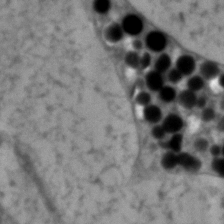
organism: Zebrafish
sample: Zebrafish embryo